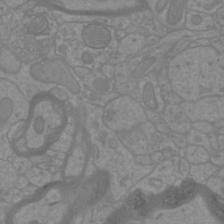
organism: Mouse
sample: Cortical neurons